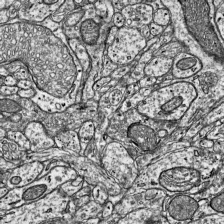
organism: Mouse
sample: Visual Cortex